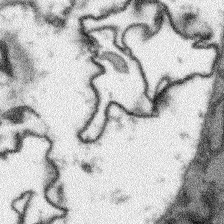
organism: Arabidopsis thaliana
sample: Root tip